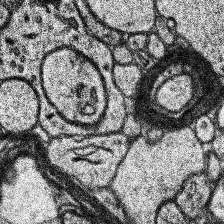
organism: Human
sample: Temporal Lobe